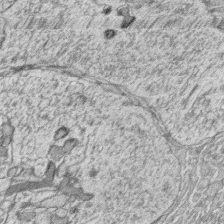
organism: Zebrafish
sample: synaptic ribbons in rod cells and cone cells